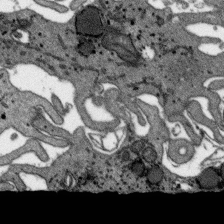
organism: Human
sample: Lung epithelial cells, uninfected (mock) control